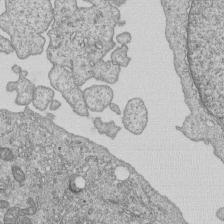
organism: Human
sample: MDA-MB-231 cells